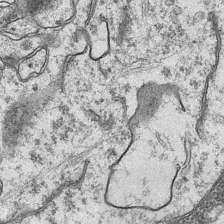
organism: Mouse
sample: CA1 Hippocampus